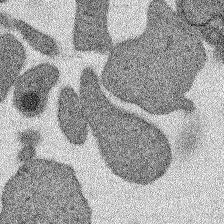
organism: Human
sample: HeLa cells